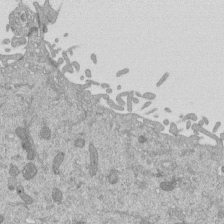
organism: Mouse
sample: ED-1 cell nuclei; centrioles